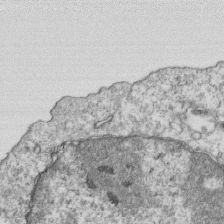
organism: Mouse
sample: Activated OT-1 CD8+ T cells